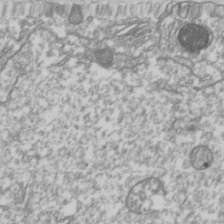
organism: Drosophila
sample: Cell division; meiosis; drosophila spermatocytes